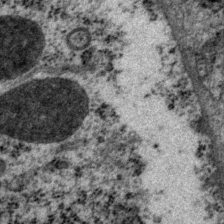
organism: P. pacificus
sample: Pharynx